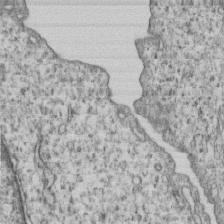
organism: Human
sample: MDA-MB-231 cells